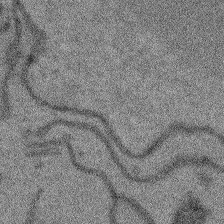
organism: Arabidopsis thaliana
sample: Root tip